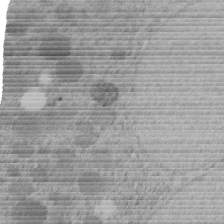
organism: C. elegans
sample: C. elegans embryo early stage